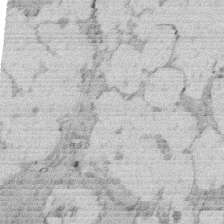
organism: Rat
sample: Salivary granule